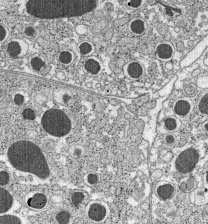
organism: C57BL Mouse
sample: Pancreatic islet